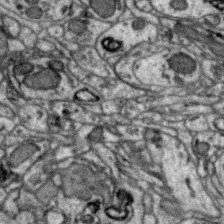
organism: Zebra finch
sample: Brain